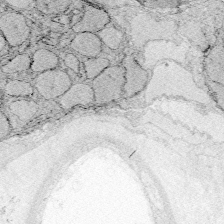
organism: Zebrafish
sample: Whole-Brain